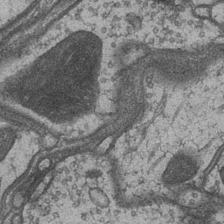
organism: Drosophila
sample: Optic medulla